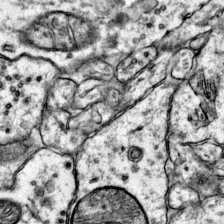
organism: Mouse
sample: Primary visual cortex